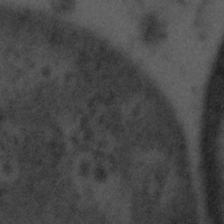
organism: Tuwongella immobilis